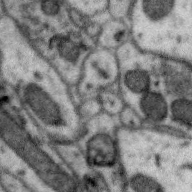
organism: Zebra finch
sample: Brain